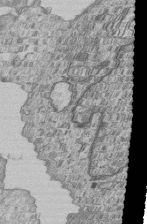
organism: Human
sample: MDA-MB-231 cells